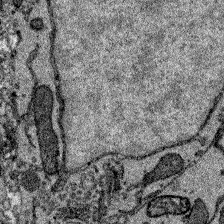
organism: Zebrafish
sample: Larval olfactory bulb